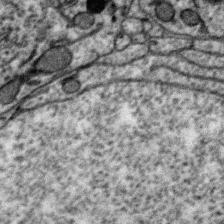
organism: Zebra finch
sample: Brain